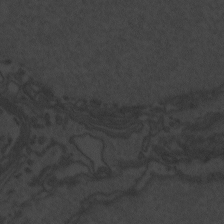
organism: Zebrafish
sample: Macrophage infected with Toxoplasma gondii